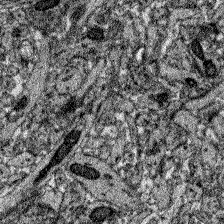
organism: Zebrafish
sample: Larval olfactory bulb